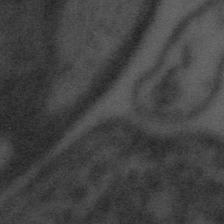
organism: Tuwongella immobilis